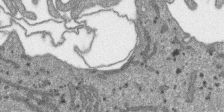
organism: Human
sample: Lung epithelial cells infected with SARS-CoV-2